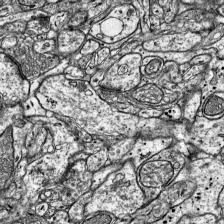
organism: Mouse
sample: Visual Cortex